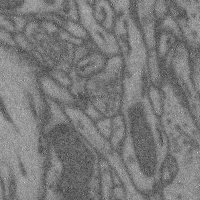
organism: Mouse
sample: Cerebral cortex